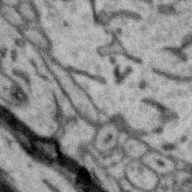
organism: Zebra finch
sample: Brain